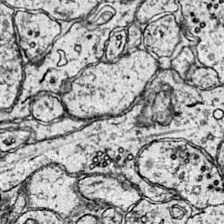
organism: Mouse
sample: Primary visual cortex